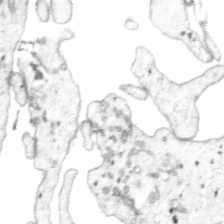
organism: Human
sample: HeLa cells